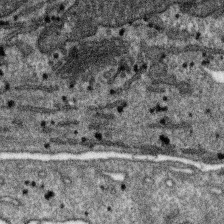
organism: Human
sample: Lung epithelial cells infected with SARS-CoV-2